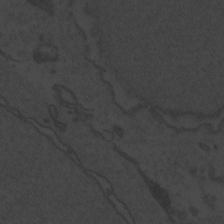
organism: Zebrafish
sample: Macrophage infected with Toxoplasma gondii